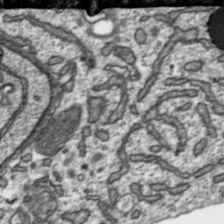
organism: Toxoplasma gondii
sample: Parasites in a vacuole inside a host cell